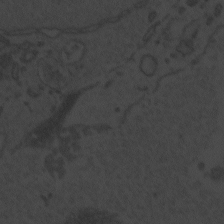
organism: Zebrafish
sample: Macrophage infected with Toxoplasma gondii